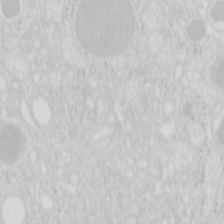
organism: Mouse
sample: Pancreas